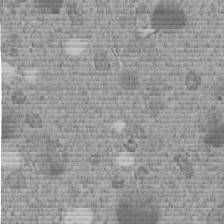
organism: C. elegans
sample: C. elegans embryo early stage